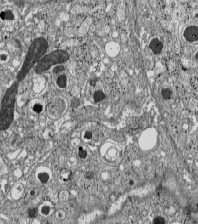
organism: C57BL Mouse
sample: Pancreatic islet